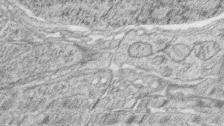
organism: Zebrafish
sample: synaptic ribbons in rod cells and cone cells